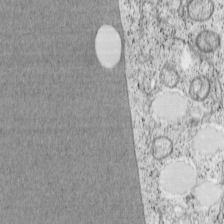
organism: African green monkey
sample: COS-7 cells